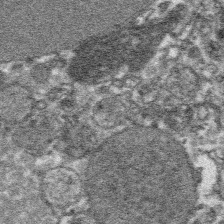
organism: Platynereis dumerilii